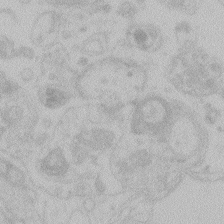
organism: Zebrafish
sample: Macrophage infected with Toxoplasma gondii